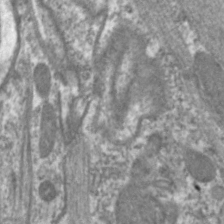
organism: C. elegans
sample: Pharynx